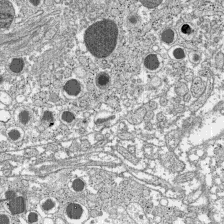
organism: C57BL Mouse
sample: Pancreatic islet